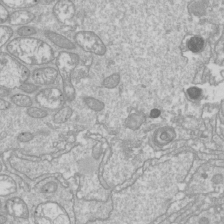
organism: Drosophila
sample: Cell division; meiosis; drosophila spermatocytes